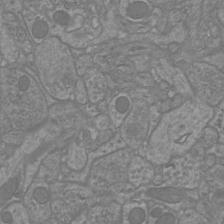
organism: Mouse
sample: Cortical neurons